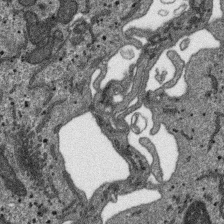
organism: Human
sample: Lung epithelial cells infected with SARS-CoV-2